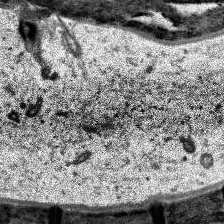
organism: Human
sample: Temporal Lobe